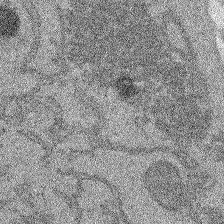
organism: Human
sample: HeLa cells